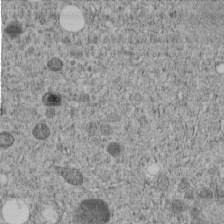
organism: C. elegans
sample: C. elegans embryo early stage